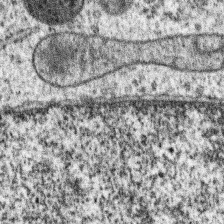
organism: Human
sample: HeLa cells